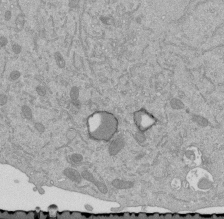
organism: Mouse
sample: ED-1 cell nuclei; centrioles